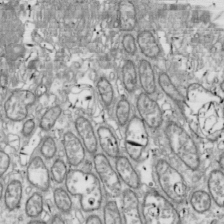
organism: Drosophila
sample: Cell division; meiosis; drosophila spermatocytes